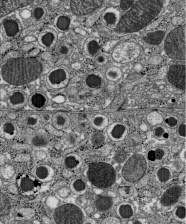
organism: C57BL Mouse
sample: Pancreatic islet